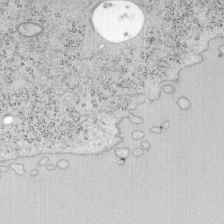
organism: Mouse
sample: OT-I killer T cells with ID8 ovarian cancer cells